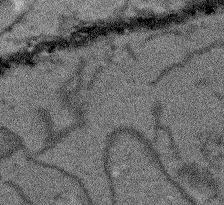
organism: Arabidopsis thaliana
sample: Root tip